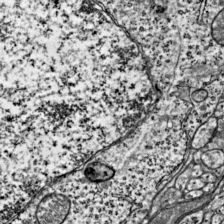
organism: Mouse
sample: Visual Cortex